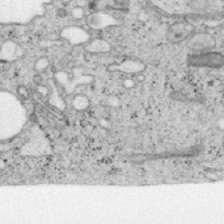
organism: Mouse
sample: OT-I killer T cells with ID8 ovarian cancer cells